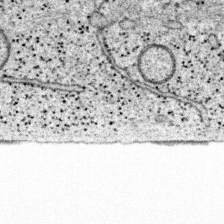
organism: Human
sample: HeLa cells